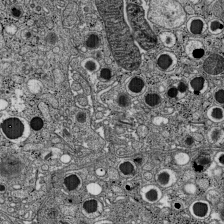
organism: C57BL Mouse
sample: Pancreatic islet